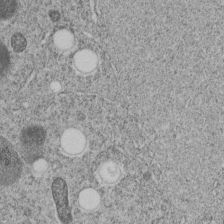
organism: C. elegans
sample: C. elegans embryo early stage